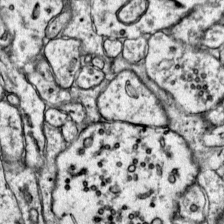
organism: Mouse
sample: Primary visual cortex